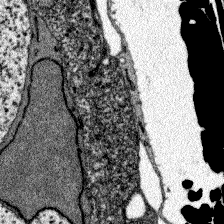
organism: Zebrafish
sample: Larval olfactory bulb